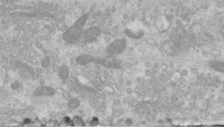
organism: Human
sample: Centriole in RPE cells